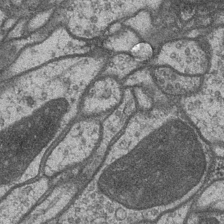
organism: Drosophila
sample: Optic medulla